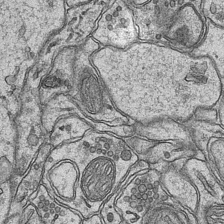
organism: Mouse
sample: CA1 Hippocampus